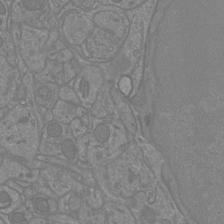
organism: Mouse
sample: Cortical neurons